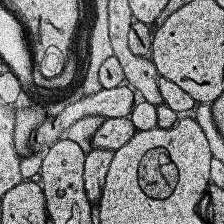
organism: Human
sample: Temporal Lobe